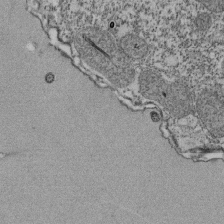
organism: Tetrahymena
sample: Cilia in tetrahymena